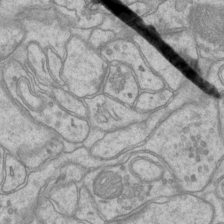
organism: Mouse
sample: CA1 Hippocampus